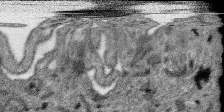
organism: Human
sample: Lung epithelial cells infected with SARS-CoV-2